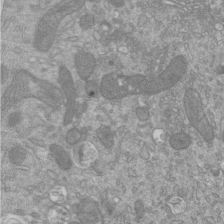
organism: Mouse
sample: ED-1 cell nuclei; centrioles